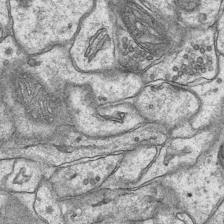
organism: Mouse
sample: CA1 Hippocampus